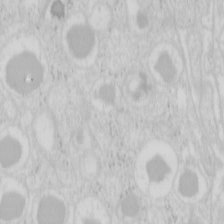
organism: Mouse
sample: Pancreas